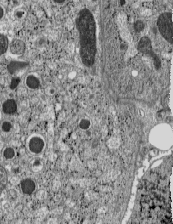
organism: C57BL Mouse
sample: Pancreatic islet